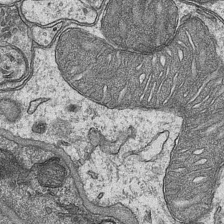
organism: Mouse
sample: CA1 Hippocampus